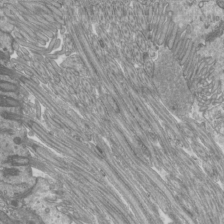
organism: Mouse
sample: Cilia; mouse epididymis